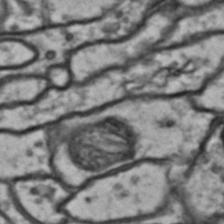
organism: Drosophila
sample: Brain